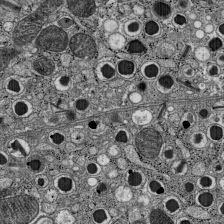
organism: C57BL Mouse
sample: Pancreatic islet